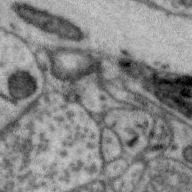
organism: Zebra finch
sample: Brain